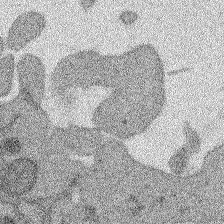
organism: Human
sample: HeLa cells